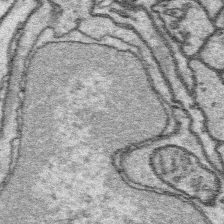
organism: Platynereis dumerilii